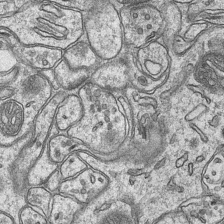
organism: Mouse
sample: CA1 Hippocampus